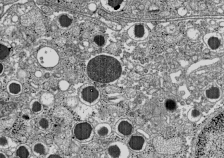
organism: C57BL Mouse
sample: Pancreatic islet